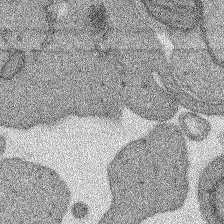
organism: Human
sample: HeLa cells